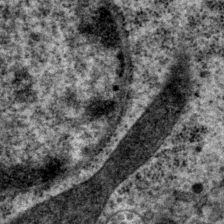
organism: P. pacificus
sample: Pharynx